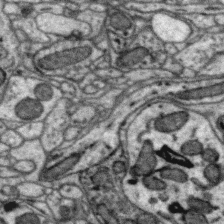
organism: Zebra finch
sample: Brain